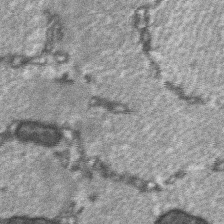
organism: C57BL Mouse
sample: Soleus